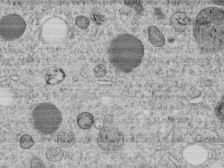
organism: C. elegans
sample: C. elegans embryo early stage